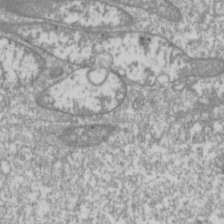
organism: Drosophila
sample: Cell division; meiosis; drosophila spermatocytes